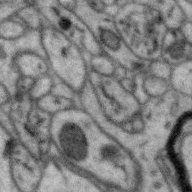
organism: Zebra finch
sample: Brain